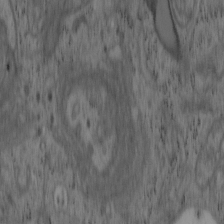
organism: Human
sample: HeLa cells